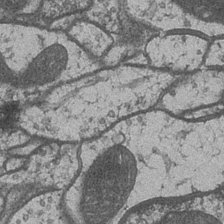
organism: Drosophila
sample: Optic medulla